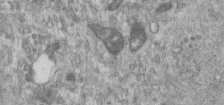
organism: Human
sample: Centriole in RPE cells